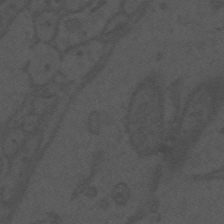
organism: Mouse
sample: Suprachiasmatic nucleus